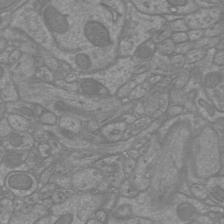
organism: Mouse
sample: Cortical neurons